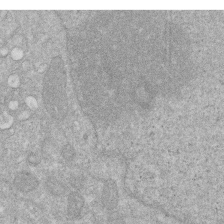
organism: Human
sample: HIV infected U937 cells